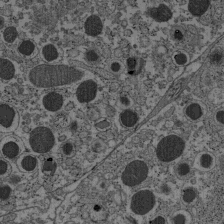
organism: C57BL Mouse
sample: Pancreatic islet